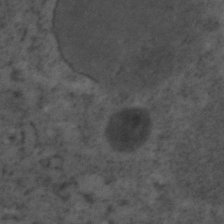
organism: C. elegans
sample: C. elegans embryo